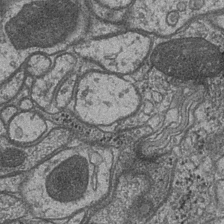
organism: Drosophila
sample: Optic medulla